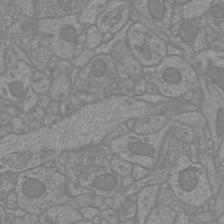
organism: Mouse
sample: Cortical neurons